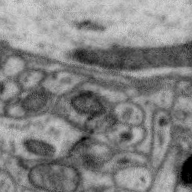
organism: Zebra finch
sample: Brain